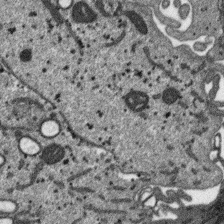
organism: Human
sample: Lung epithelial cells infected with SARS-CoV-2